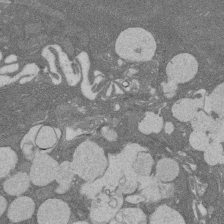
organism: Rat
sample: Salivary granule